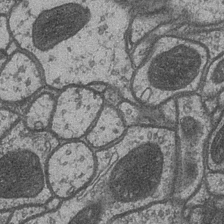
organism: Drosophila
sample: Optic medulla